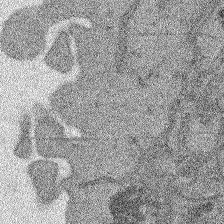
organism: Human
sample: HeLa cells